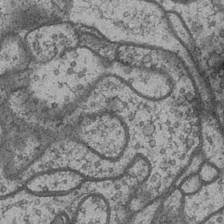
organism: Drosophila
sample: Optic medulla